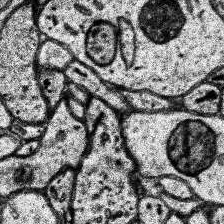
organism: Human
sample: Temporal Lobe